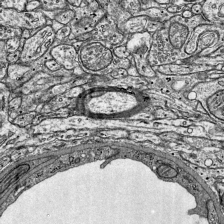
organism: Mouse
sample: Visual Cortex